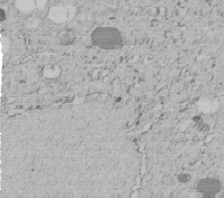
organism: C. elegans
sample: C. elegans embryo early stage